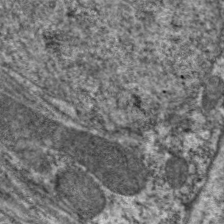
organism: C. elegans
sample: Pharynx